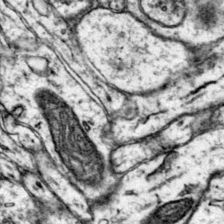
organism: Mouse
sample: Primary visual cortex